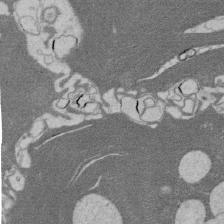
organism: Rat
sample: Salivary granule